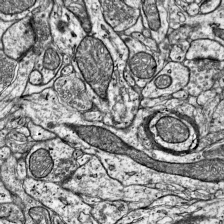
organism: Mouse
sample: Visual Cortex